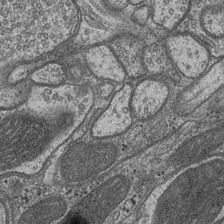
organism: Drosophila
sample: Optic medulla